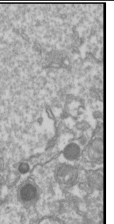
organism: Drosophila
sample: Cell division; meiosis; drosophila spermatocytes